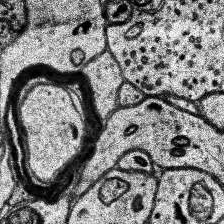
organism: Human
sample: Temporal Lobe